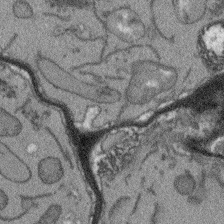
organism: Arabidopsis thaliana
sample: Root tip